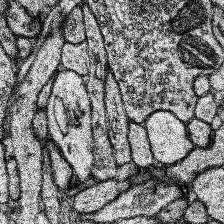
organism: Human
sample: Temporal Lobe